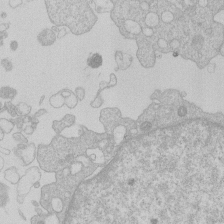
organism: Human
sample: Macrophage cells